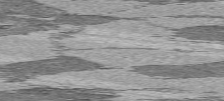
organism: C57BL Mouse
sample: Heart